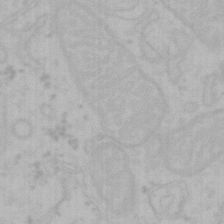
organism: Mouse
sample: Choroid plexus